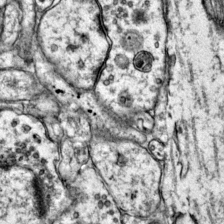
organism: Mouse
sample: Primary visual cortex